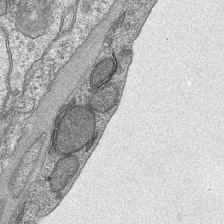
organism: Mouse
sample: CA1 Hippocampus